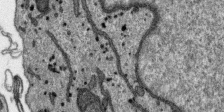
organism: Human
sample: Lung epithelial cells, uninfected (mock) control